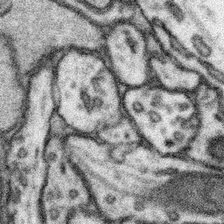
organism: Mouse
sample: Somatosensory cortex neuropil